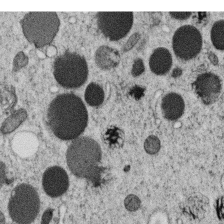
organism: C. elegans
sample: C. elegans oocyte; sperm cells